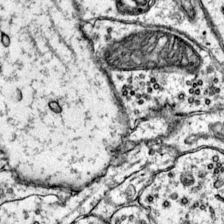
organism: Mouse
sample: Primary visual cortex